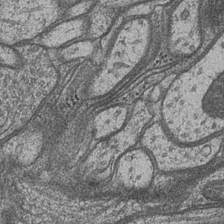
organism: Drosophila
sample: Optic medulla